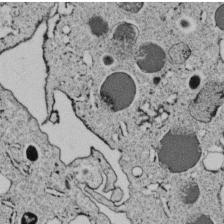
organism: C. elegans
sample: C. elegans embryo early stage